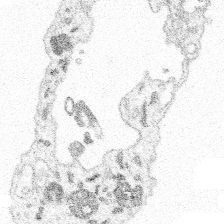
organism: Spongilla lacustris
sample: Multiple